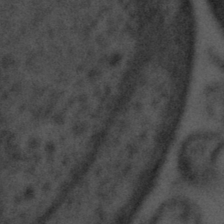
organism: Tuwongella immobilis